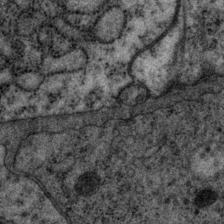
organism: P. pacificus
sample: Pharynx